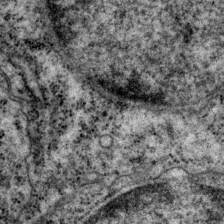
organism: P. pacificus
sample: Pharynx